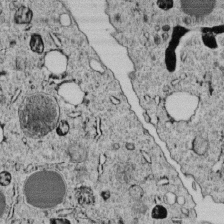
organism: C. elegans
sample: C. elegans embryo early stage